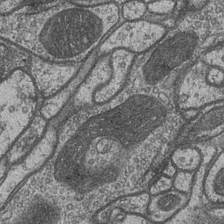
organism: Drosophila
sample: Optic medulla